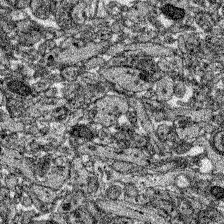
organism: Zebrafish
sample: Larval olfactory bulb